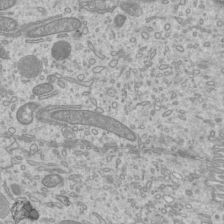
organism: Mouse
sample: Cilia; mouse epididymis